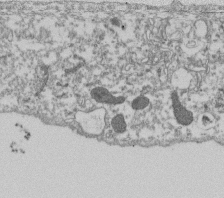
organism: Dictyostelium discoideum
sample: Dictyostelium multivesicular bodies